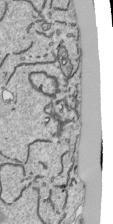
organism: Human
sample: Mitochondria in HCT116 cells